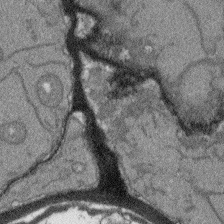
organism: Arabidopsis thaliana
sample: Root tip